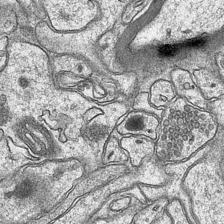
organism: Mouse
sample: CA1 Hippocampus